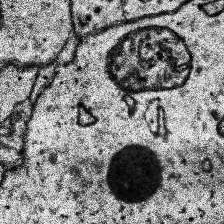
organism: Human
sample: Temporal Lobe